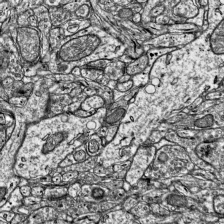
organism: Mouse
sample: Visual Cortex